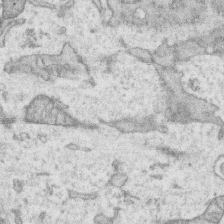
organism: Human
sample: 1205lu cells